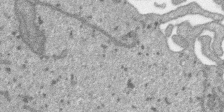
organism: Human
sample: Lung epithelial cells infected with SARS-CoV-2